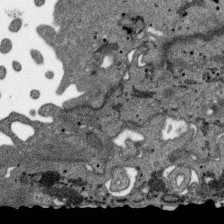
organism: Human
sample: Lung epithelial cells, uninfected (mock) control